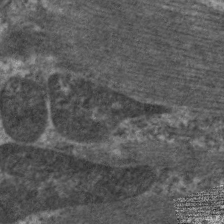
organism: C. elegans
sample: Pharynx